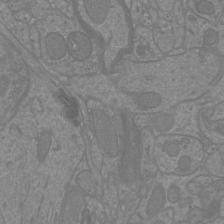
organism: Mouse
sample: Cortical neurons